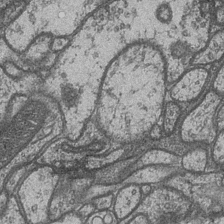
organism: Drosophila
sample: Optic medulla